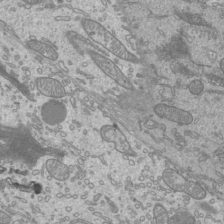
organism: Mouse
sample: Cilia; mouse epididymis